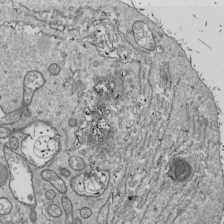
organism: Drosophila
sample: Cell division; meiosis; drosophila spermatocytes